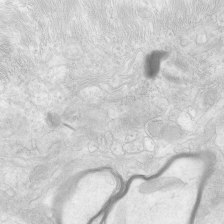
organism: Human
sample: Neocortex